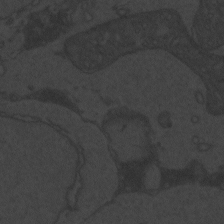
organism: Zebrafish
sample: Macrophage infected with Toxoplasma gondii